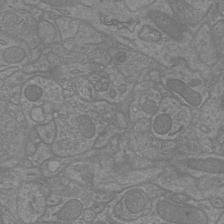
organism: Mouse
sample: Cortical neurons